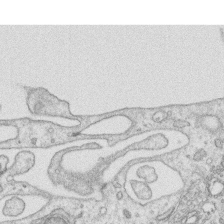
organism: Human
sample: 1205lu cells